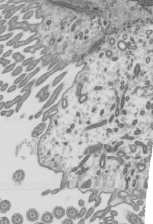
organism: Mouse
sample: Mouse epididymis efferent ductule cilia